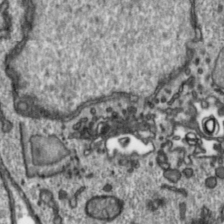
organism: Toxoplasma gondii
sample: Parasites in a vacuole inside a host cell